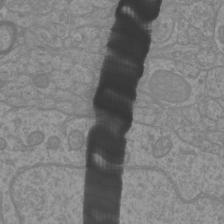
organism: Mouse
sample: Cortical neurons